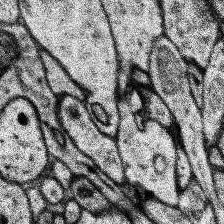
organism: Human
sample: Temporal Lobe